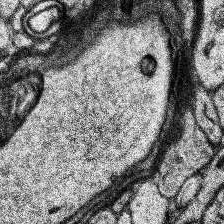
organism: Human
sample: Temporal Lobe